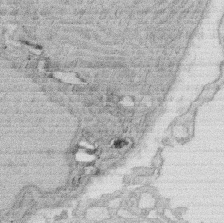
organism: Rat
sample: Salivary granule